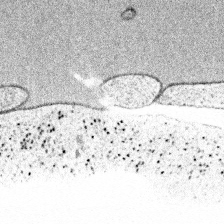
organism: Human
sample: HeLa cells